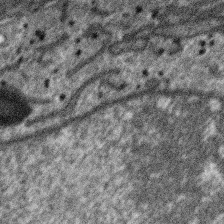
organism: Human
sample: Lung epithelial cells infected with SARS-CoV-2